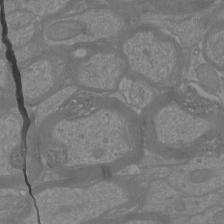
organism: Mouse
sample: Cortical neurons